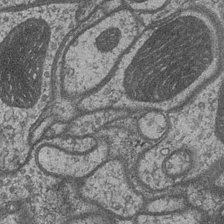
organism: Drosophila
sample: Optic medulla